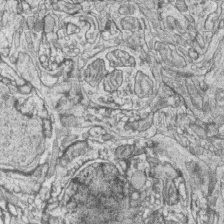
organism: Zebrafish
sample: synaptic ribbons in rod cells and cone cells